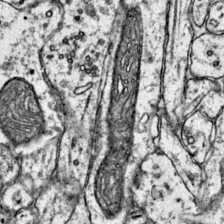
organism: Mouse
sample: Primary visual cortex